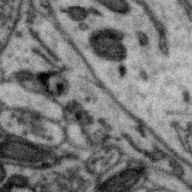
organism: Zebra finch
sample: Brain